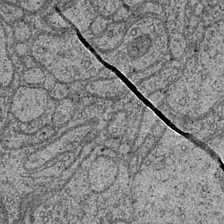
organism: Drosophila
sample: Optic medulla